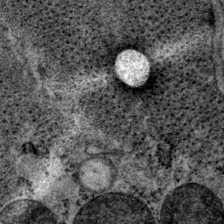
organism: P. pacificus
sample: Pharynx